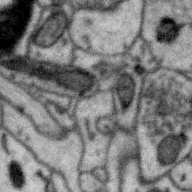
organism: Zebra finch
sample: Brain